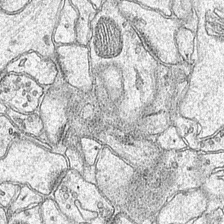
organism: Mouse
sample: CA1 Hippocampus